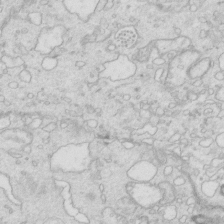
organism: Mouse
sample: Multiciliated cells